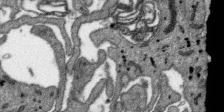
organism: Human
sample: Lung epithelial cells, uninfected (mock) control